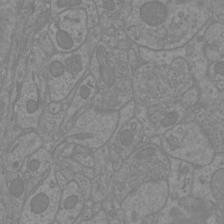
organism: Mouse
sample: Cortical neurons